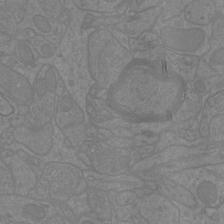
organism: Mouse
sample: Cortical neurons